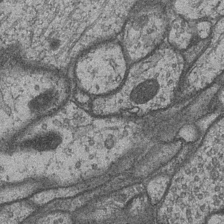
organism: Drosophila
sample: Optic medulla